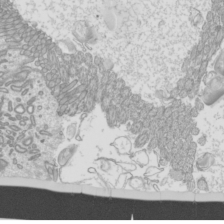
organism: Mouse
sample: Cilia; mouse epididymis